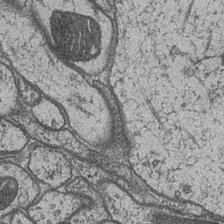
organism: Drosophila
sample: Optic medulla